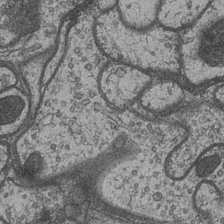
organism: Drosophila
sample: Optic medulla